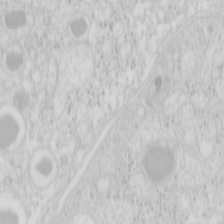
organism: Mouse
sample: Pancreas